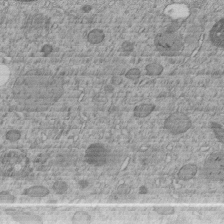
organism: C. elegans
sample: C. elegans embryo early stage